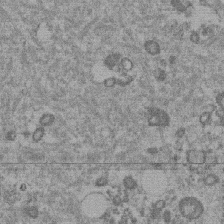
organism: Mouse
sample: Dividing mouse embryo 1 cell stage